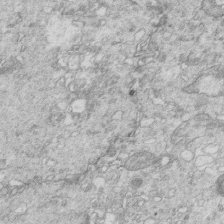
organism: Mouse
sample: Multiciliated cells